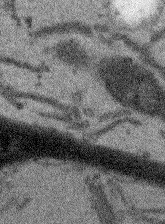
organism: Arabidopsis thaliana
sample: Root tip